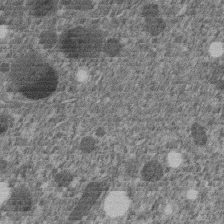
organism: C. elegans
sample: C. elegans embryo early stage